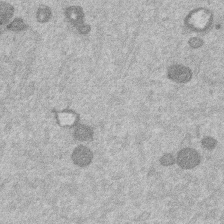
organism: Mouse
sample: Dividing mouse embryo 1 cell stage